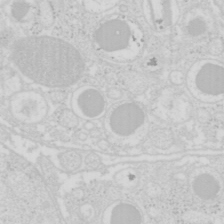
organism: Mouse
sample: Pancreas